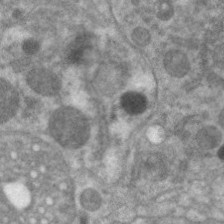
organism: C. elegans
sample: Pharynx